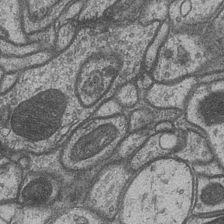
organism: Drosophila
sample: Optic medulla